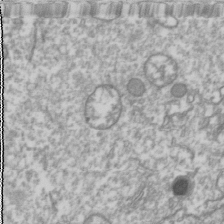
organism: Drosophila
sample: Cell division; meiosis; drosophila spermatocytes